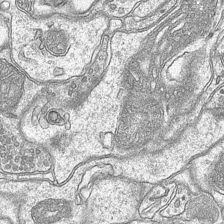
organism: Mouse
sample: CA1 Hippocampus